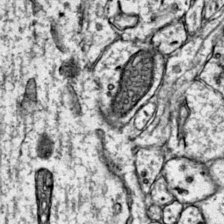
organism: Mouse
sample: Primary visual cortex